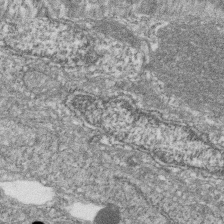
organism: Zebrafish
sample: Cilia; retinal pigment epithelium